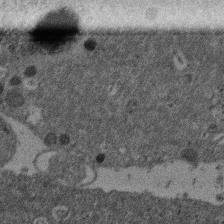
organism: Mouse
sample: Dividing mouse embryo 1 cell stage